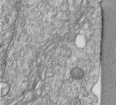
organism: Human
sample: Centriole in RPE cells